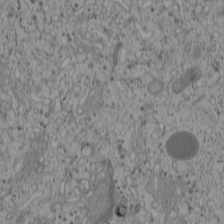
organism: African green monkey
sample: COS-7 cells